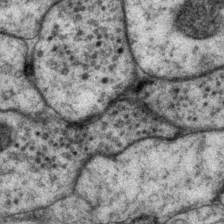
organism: P. pacificus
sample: Pharynx